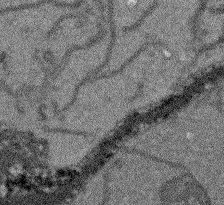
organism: Arabidopsis thaliana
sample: Root tip